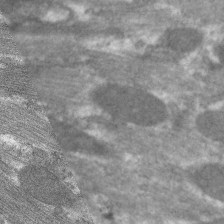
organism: C. elegans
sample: Pharynx